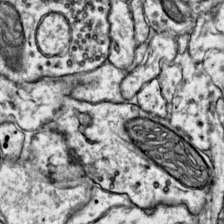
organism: Mouse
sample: Primary visual cortex